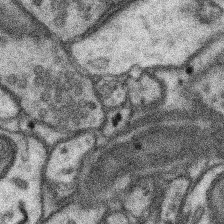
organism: Mouse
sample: Somatosensory cortex neuropil